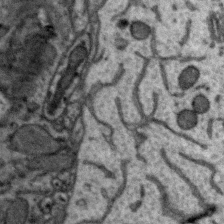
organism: Zebra finch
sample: Brain